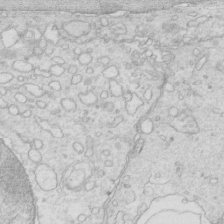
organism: Mouse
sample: Multiciliated cells